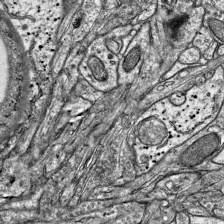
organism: Mouse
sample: Visual Cortex